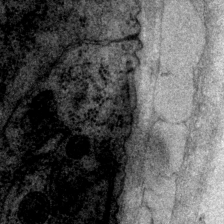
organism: P. pacificus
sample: Pharynx